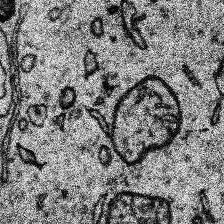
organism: Human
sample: Temporal Lobe